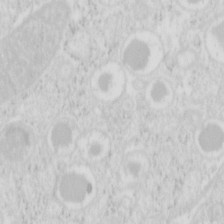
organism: Mouse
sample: Pancreas